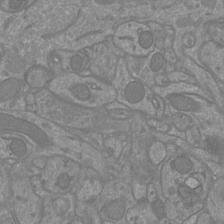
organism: Mouse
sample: Cortical neurons